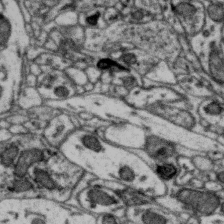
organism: Zebra finch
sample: Brain